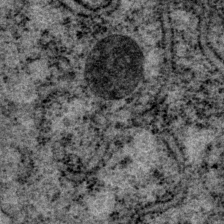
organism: P. pacificus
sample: Pharynx